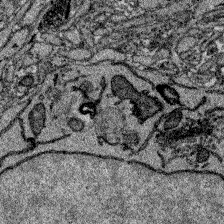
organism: Zebrafish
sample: Larval olfactory bulb